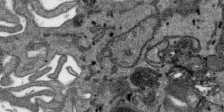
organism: Human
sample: Lung epithelial cells, uninfected (mock) control